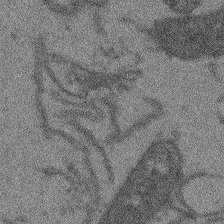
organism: Arabidopsis thaliana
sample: Root tip